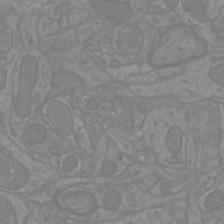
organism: Mouse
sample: Cortical neurons